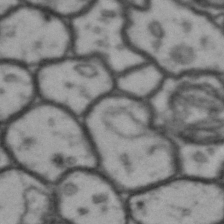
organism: Drosophila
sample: Brain